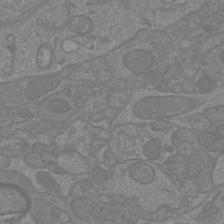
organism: Mouse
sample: Cortical neurons